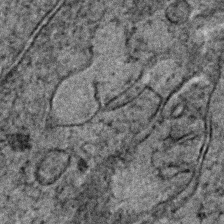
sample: Trachea